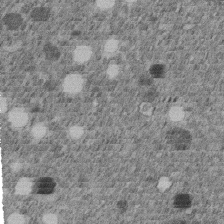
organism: C. elegans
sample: C. elegans embryo early stage